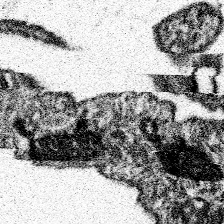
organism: Spongilla lacustris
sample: Neuroid cell